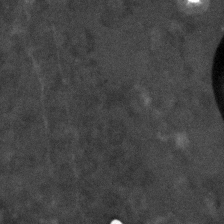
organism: C. elegans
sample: C. elegans embryo